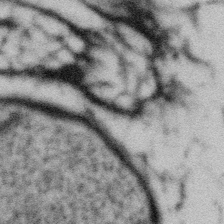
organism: Gemmata obscuriglobus